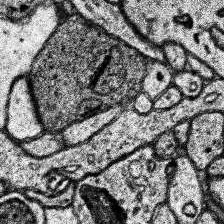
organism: Human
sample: Temporal Lobe